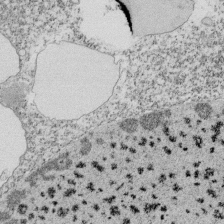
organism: Tetrahymena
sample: Cilia in tetrahymena